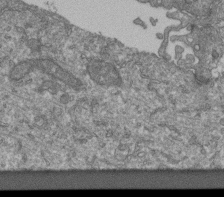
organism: Human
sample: Retinal organoid Rod and Cone cells